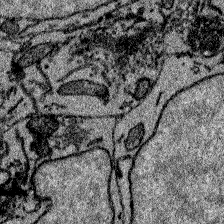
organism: Zebrafish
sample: Larval olfactory bulb